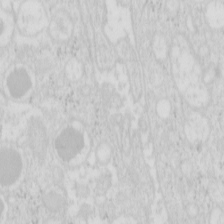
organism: Mouse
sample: Pancreas